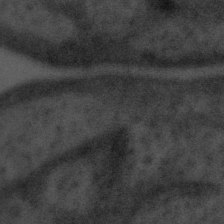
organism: Tuwongella immobilis